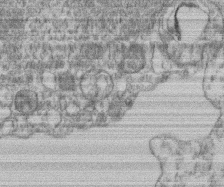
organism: Mouse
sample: T cell stromal cell synapse